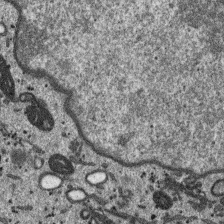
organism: Human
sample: Lung epithelial cells infected with SARS-CoV-2